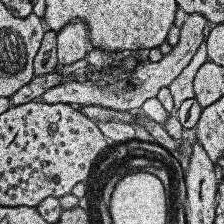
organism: Human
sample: Temporal Lobe